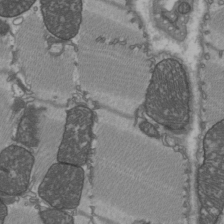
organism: C57BL Mouse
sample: Heart